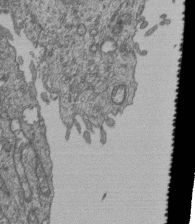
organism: Human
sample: Retinal organoid Rod and Cone cells